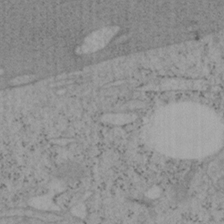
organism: Mouse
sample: OT-I killer T cells with ID8 ovarian cancer cells